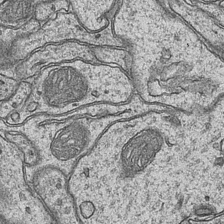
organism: Mouse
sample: CA1 Hippocampus